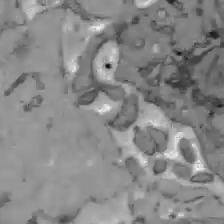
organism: C57BL Mouse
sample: Liver